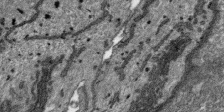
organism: Human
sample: Lung epithelial cells, uninfected (mock) control